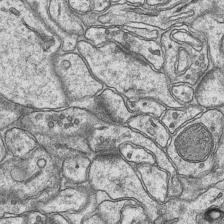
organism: Mouse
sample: CA1 Hippocampus